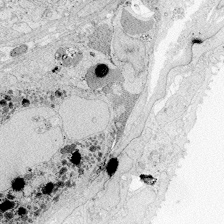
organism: Zebrafish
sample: Whole-Brain